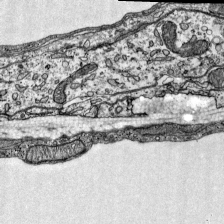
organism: Mouse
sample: Visual Cortex